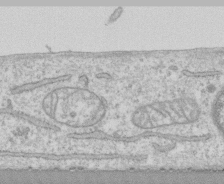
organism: Human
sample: CRL-1474